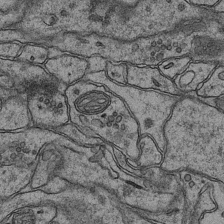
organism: Mouse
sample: CA1 Hippocampus